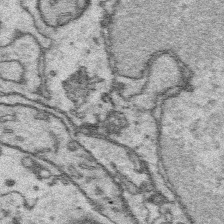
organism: Platynereis dumerilii